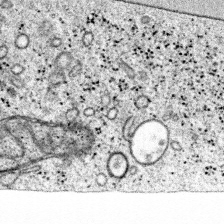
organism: Human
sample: HeLa cells